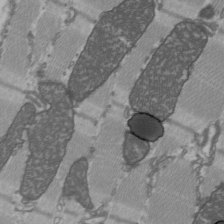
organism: C57BL Mouse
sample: Heart